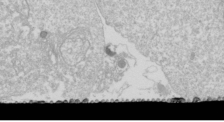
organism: Drosophila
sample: Cell division; meiosis; drosophila spermatocytes